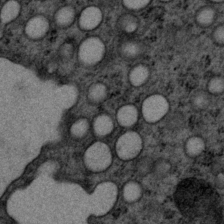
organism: P. pacificus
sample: Pharynx